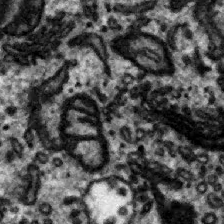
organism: Human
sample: HeLa cells